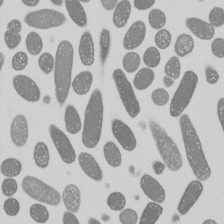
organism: E. coli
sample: Bacterial nucleoid